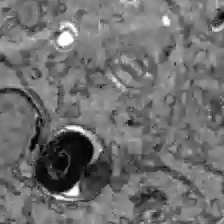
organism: C57BL Mouse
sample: Liver